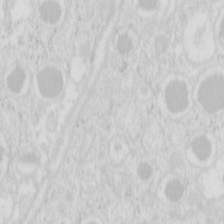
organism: Mouse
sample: Pancreas